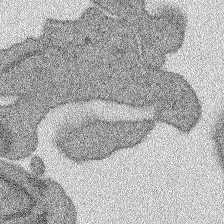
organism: Human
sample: HeLa cells